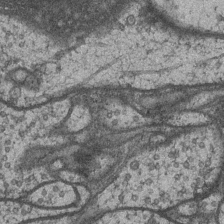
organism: Drosophila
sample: Optic medulla